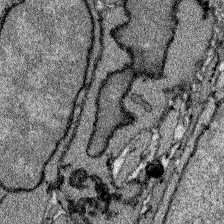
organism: Zebrafish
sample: Larval olfactory bulb